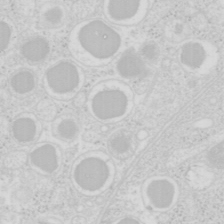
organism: Mouse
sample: Pancreas